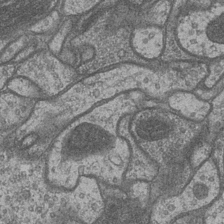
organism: Drosophila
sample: Optic medulla